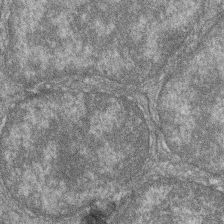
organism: Zebrafish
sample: Cilia; retinal pigment epithelium